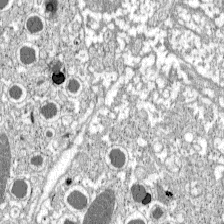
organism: C57BL Mouse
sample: Pancreatic islet